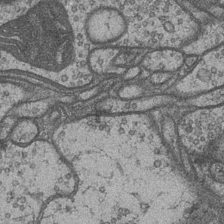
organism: Drosophila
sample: Optic medulla